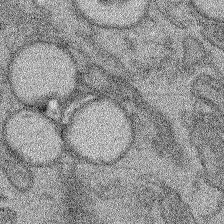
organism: Human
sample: HeLa cells